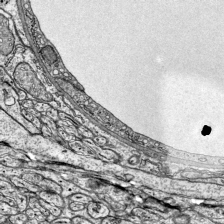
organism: Mouse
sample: Visual Cortex